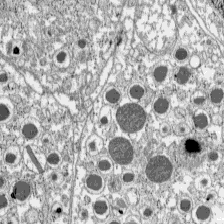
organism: C57BL Mouse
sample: Pancreatic islet